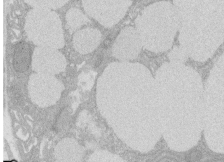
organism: Rat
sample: Salivary granule